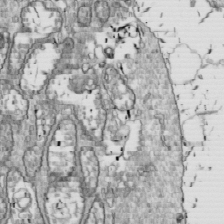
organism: Drosophila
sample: Cell division; meiosis; drosophila spermatocytes